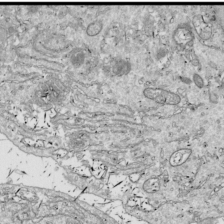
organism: Drosophila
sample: Cell division; meiosis; drosophila spermatocytes